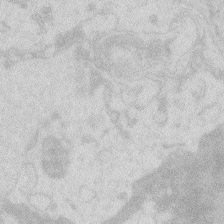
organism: Zebrafish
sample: Macrophage